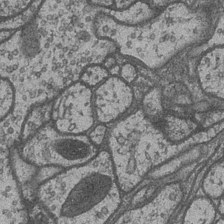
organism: Drosophila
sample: Optic medulla